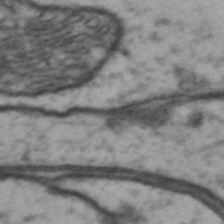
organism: Drosophila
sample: Brain